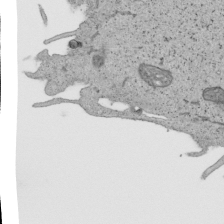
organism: Human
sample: Mitochondria in HCT116 cells